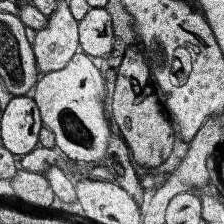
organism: Human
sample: Temporal Lobe